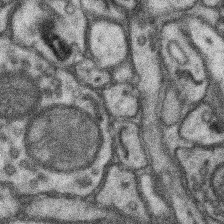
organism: Mouse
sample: Somatosensory cortex neuropil